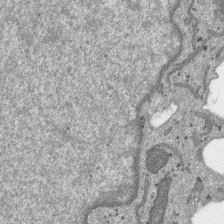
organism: Human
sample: Lung epithelial cells infected with SARS-CoV-2